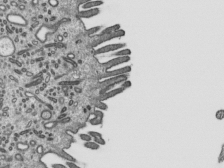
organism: Mouse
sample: Mouse epididymis efferent ductule cilia